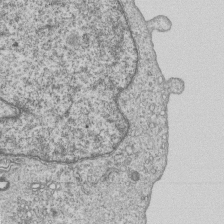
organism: Human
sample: MDA-MB-231 cells